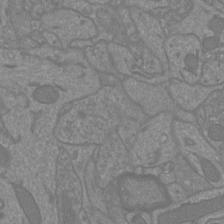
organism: Mouse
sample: Cortical neurons